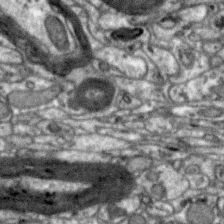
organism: Zebra finch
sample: Brain